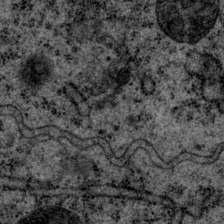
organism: P. pacificus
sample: Pharynx